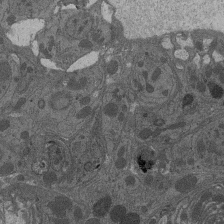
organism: Drosophila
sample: Antenna